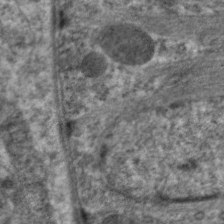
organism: C. elegans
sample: Pharynx